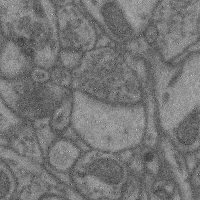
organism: Mouse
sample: Cerebral cortex